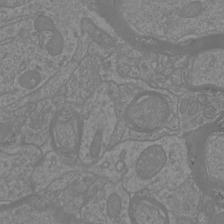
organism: Mouse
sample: Cortical neurons